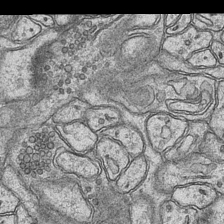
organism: Mouse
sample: CA1 Hippocampus